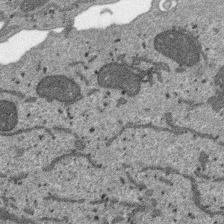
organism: Human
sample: Lung epithelial cells infected with SARS-CoV-2